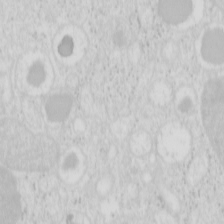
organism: Mouse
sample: Pancreas